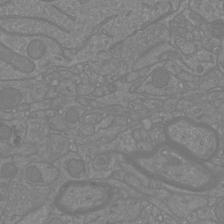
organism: Mouse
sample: Cortical neurons